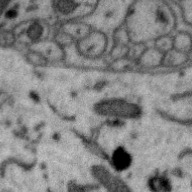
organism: Zebra finch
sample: Brain